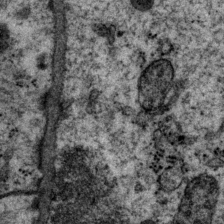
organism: P. pacificus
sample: Pharynx